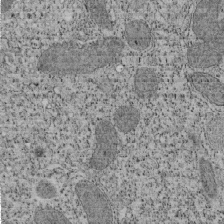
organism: Tetrahymena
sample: Cilia in tetrahymena